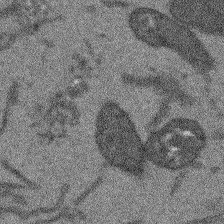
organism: Arabidopsis thaliana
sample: Root tip